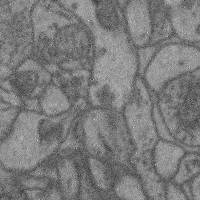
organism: Mouse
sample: Cerebral cortex